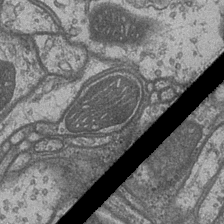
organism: Drosophila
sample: Optic medulla